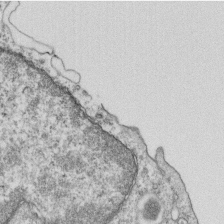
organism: Mouse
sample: Activated OT-1 CD8+ T cells